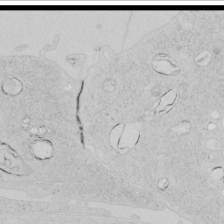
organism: Human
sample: Mitochondria in HCT116 cells